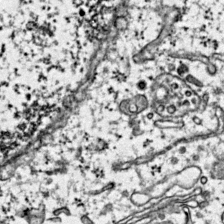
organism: Mouse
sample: Primary visual cortex